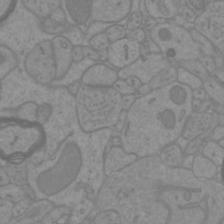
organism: Mouse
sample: Cortical neurons